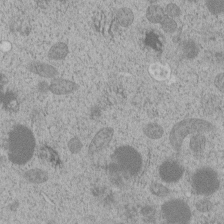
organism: C. elegans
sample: C. elegans embryo early stage